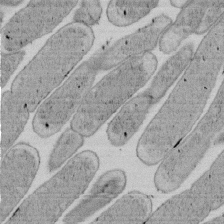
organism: E. coli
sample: Bacterial nucleoid